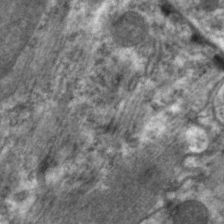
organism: C. elegans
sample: Pharynx